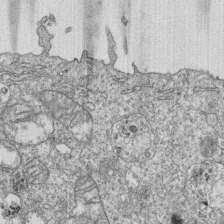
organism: Human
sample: HeLa cell HIV synapse